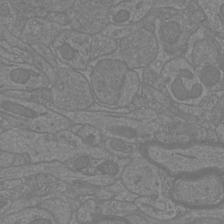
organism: Mouse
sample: Cortical neurons